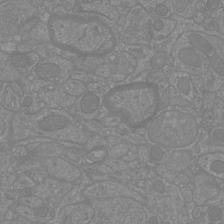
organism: Mouse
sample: Cortical neurons